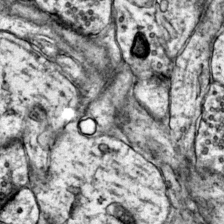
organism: Mouse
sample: Primary visual cortex